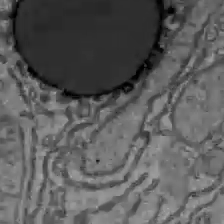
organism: C57BL Mouse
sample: Liver